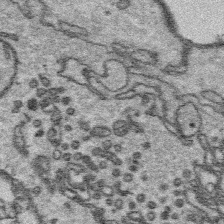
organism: Platynereis dumerilii